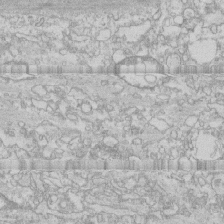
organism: Human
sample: CRL-1474